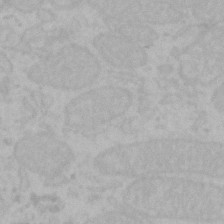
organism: Mouse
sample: Choroid plexus